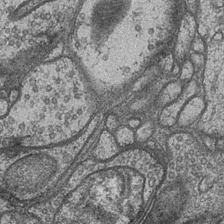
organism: Drosophila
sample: Optic medulla